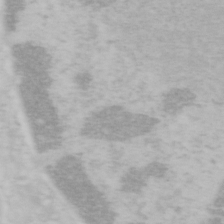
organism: Mouse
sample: OT-I killer T cells with ID8 ovarian cancer cells